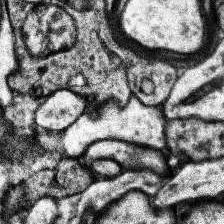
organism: Human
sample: Temporal Lobe